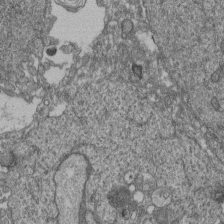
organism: Human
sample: Retinal organoid Rod and Cone cells